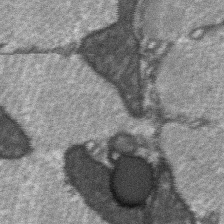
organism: C57BL Mouse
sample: Soleus